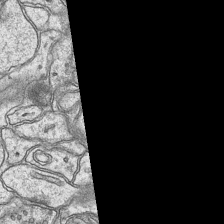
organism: Mouse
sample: CA1 Hippocampus